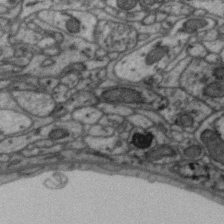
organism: Zebra finch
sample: Brain